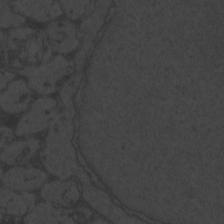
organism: Zebrafish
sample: Macrophage infected with Toxoplasma gondii